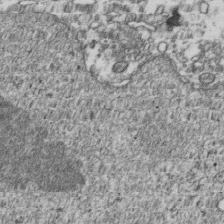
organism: Human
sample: Activated Jurkat CD4+ T cells